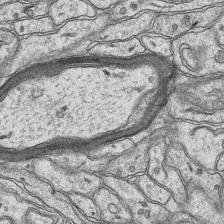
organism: Mouse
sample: CA1 Hippocampus